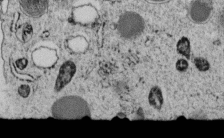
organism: C. elegans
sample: C. elegans embryo early stage